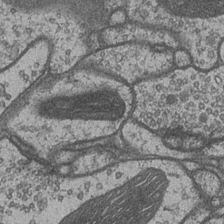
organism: Drosophila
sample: Optic medulla